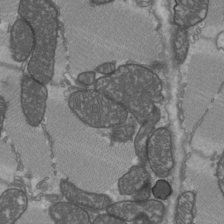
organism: C57BL Mouse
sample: Heart